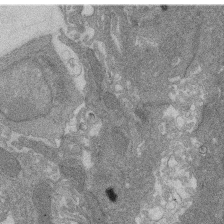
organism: Rat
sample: Salivary granule